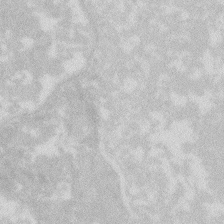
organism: Zebrafish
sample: Macrophage